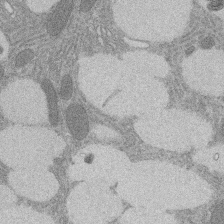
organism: Rat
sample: Salivary granule